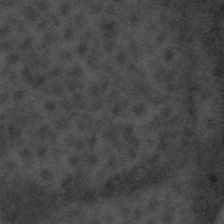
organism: Tuwongella immobilis